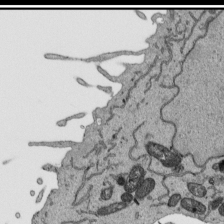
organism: Human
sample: Mitochondria in HCT116 cells